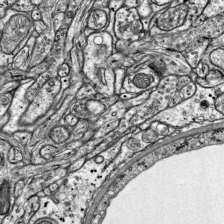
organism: Mouse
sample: Visual Cortex